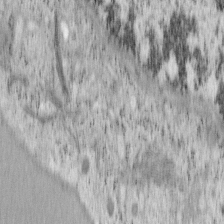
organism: Human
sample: HeLa cells